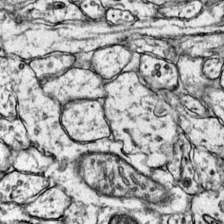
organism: Mouse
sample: Primary visual cortex